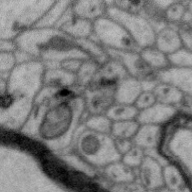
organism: Zebra finch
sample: Brain